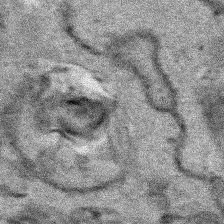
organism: Human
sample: Mitochondria in HCT116 cells